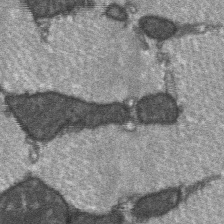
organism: C57BL Mouse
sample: Soleus